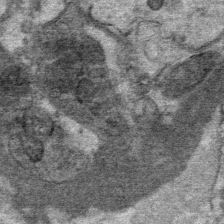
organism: Mouse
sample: Mouse Salivary gland